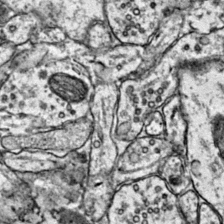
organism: Mouse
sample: Primary visual cortex